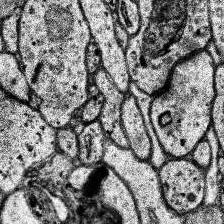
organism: Human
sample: Temporal Lobe